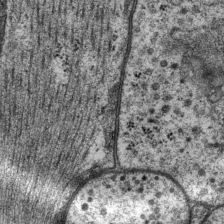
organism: P. pacificus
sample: Pharynx